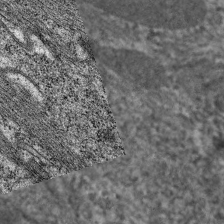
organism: C. elegans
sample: Pharynx